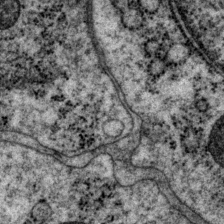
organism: P. pacificus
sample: Pharynx